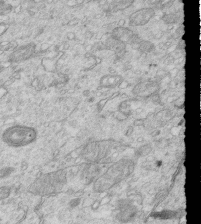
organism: Mouse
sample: Multiciliated cells